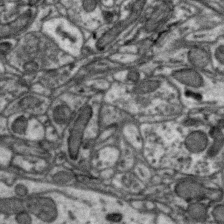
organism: Zebra finch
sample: Brain